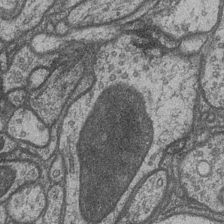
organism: Drosophila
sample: Optic medulla